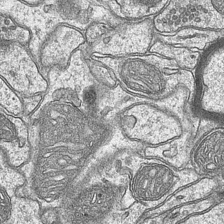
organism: Mouse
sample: CA1 Hippocampus